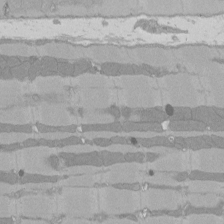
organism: Rat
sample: Left ventricle